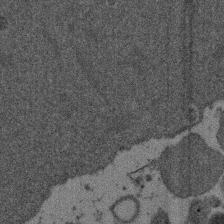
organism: Mouse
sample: Dividing mouse embryo 1 cell stage